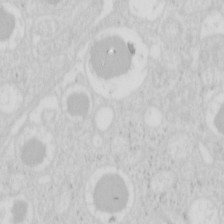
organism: Mouse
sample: Pancreas